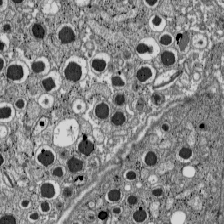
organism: C57BL Mouse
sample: Pancreatic islet